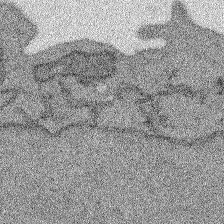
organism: Human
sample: HeLa cells